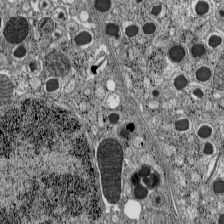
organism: C57BL Mouse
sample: Pancreatic islet